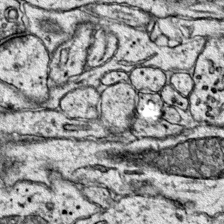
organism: Mouse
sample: Primary visual cortex